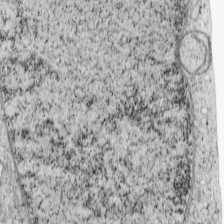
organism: African green monkey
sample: COS-7 cells